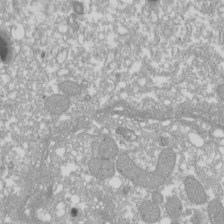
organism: Xenopus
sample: Cilia; centrioles in frog embryo cells